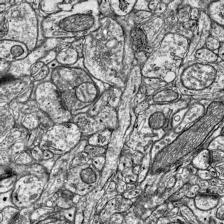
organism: Mouse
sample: Visual Cortex